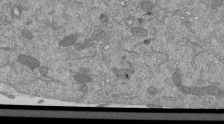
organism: Mouse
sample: ED-1 cell nuclei; centrioles